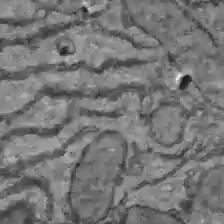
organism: C57BL Mouse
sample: Liver